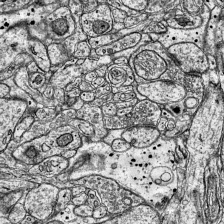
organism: Mouse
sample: Visual Cortex